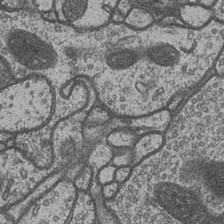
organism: Drosophila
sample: Optic medulla